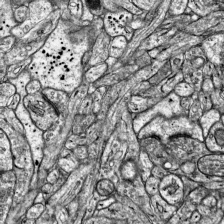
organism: Mouse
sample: Visual Cortex